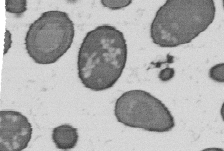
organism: B. subtilis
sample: Bacterial spore